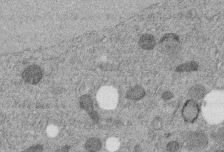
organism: C. elegans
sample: C. elegans embryo early stage